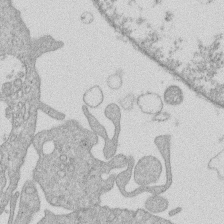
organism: Human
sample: Macrophage cells